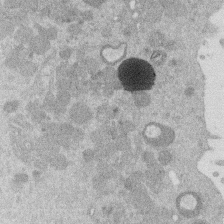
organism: Mouse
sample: Dividing mouse embryo 1 cell stage